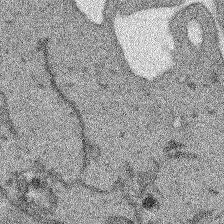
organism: Human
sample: HeLa cells